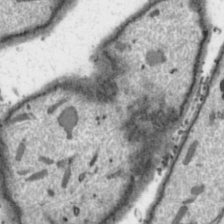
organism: Toxoplasma gondii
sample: Parasites in a vacuole inside a host cell